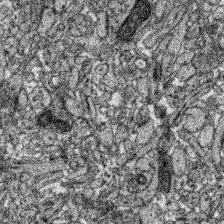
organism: Zebrafish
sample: Larval olfactory bulb